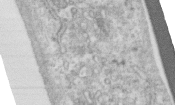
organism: Human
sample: Centriole in RPE cells